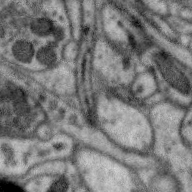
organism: Zebra finch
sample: Brain